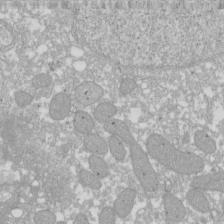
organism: Xenopus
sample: Cilia; centrioles in frog embryo cells